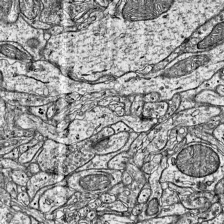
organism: Mouse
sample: Visual Cortex